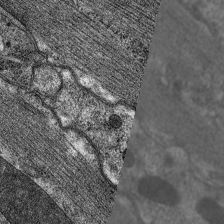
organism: C. elegans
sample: Pharynx